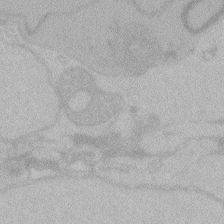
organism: Zebrafish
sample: Macrophage infected with Toxoplasma gondii